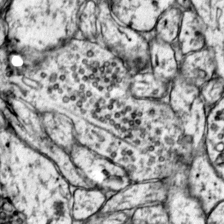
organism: Mouse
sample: Primary visual cortex